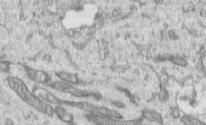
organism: Human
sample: Centriole in RPE cells